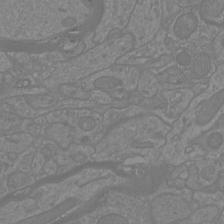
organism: Mouse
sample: Cortical neurons